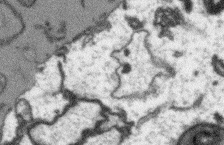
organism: Arabidopsis thaliana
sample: Root tip